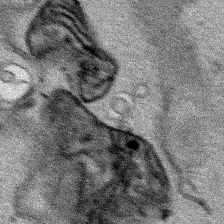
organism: Human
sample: Mitochondria in HCT116 cells